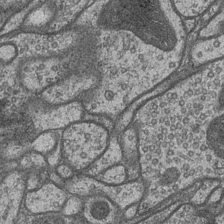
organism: Drosophila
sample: Optic medulla